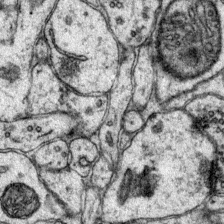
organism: Mouse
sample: Primary visual cortex